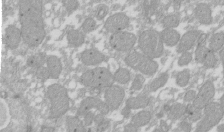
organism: Xenopus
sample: Cilia; centrioles in frog embryo cells